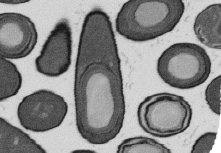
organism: B. subtilis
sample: Bacterial spore